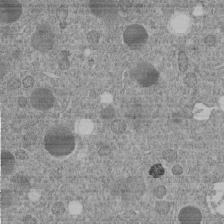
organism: C. elegans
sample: C. elegans embryo early stage